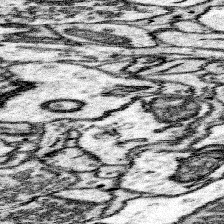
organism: Mouse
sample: Somatosensory cortex neuropil